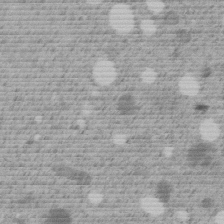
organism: C. elegans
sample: C. elegans embryo early stage